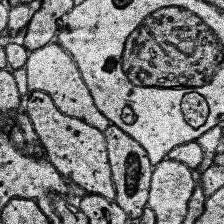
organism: Human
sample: Temporal Lobe